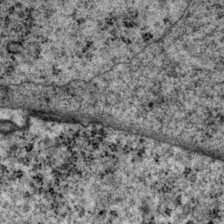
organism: P. pacificus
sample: Pharynx